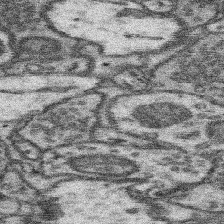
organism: Mouse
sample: Somatosensory cortex neuropil